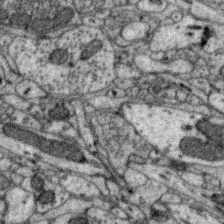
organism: Zebra finch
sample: Brain